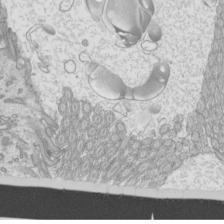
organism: Mouse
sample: Cilia; mouse epididymis